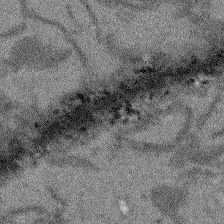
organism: Arabidopsis thaliana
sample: Root tip